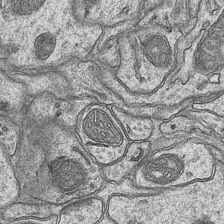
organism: Mouse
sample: CA1 Hippocampus